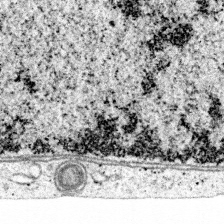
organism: Human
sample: HeLa cells